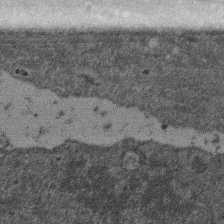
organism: Mouse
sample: Dividing mouse embryo 1 cell stage